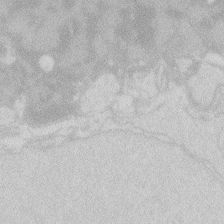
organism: Zebrafish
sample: Macrophage